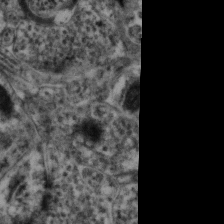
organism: Mouse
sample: Neocortex